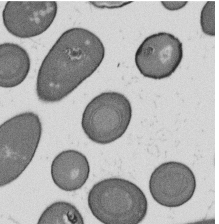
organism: B. subtilis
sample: Bacterial spore